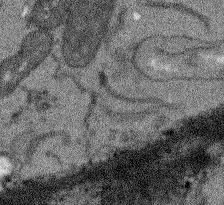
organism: Arabidopsis thaliana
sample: Root tip